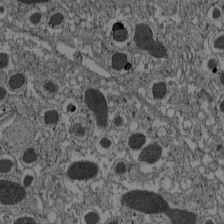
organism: C57BL Mouse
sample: Pancreatic islet